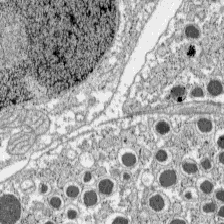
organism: C57BL Mouse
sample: Pancreatic islet